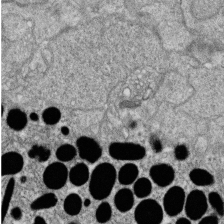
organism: Zebrafish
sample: Cilia; retinal pigment epithelium